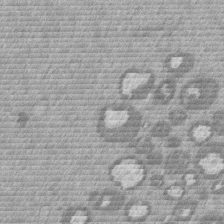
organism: Mouse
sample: Dividing mouse embryo 1 cell stage